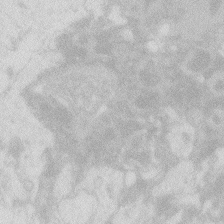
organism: Zebrafish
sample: Macrophage